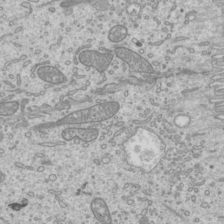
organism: Mouse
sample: Cilia; mouse epididymis